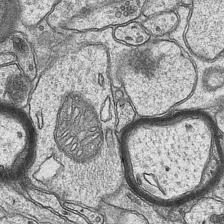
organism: Mouse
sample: CA1 Hippocampus